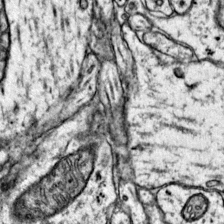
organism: Mouse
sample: Primary visual cortex